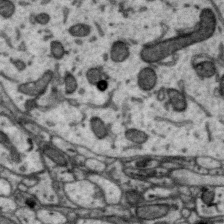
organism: Zebra finch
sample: Brain